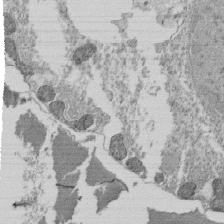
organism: Tetrahymena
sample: Cilia in tetrahymena